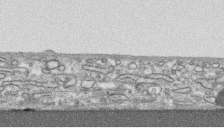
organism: Human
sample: CRL-1474